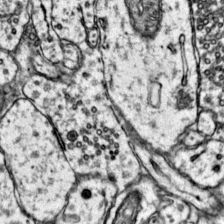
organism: Mouse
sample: Primary visual cortex